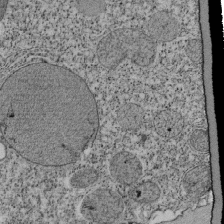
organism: Tetrahymena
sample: Cilia in tetrahymena